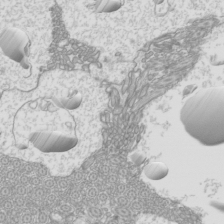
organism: Mouse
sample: Cilia; mouse epididymis